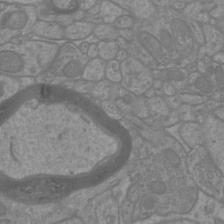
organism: Mouse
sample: Cortical neurons